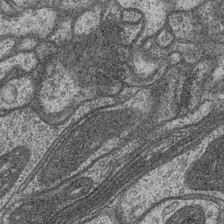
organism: Drosophila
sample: Optic medulla